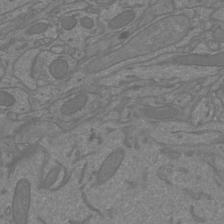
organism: Mouse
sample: Cortical neurons